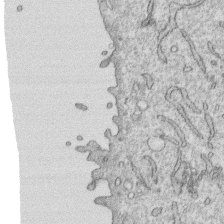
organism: Human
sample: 1205lu cells